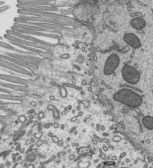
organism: Mouse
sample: Mouse epididymis efferent ductule cilia